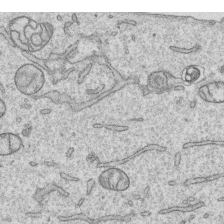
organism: Human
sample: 1205lu cells